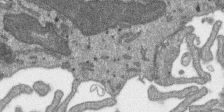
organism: Human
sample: Lung epithelial cells infected with SARS-CoV-2